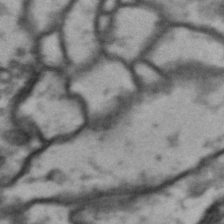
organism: Drosophila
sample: Brain